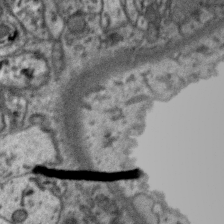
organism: Zebra finch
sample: Brain